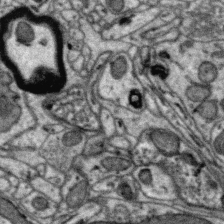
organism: Zebra finch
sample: Brain